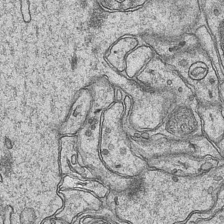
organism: Mouse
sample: CA1 Hippocampus